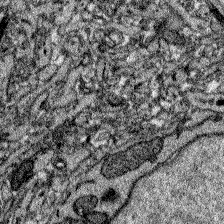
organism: Zebrafish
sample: Larval olfactory bulb